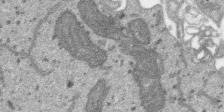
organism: Human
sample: Lung epithelial cells infected with SARS-CoV-2